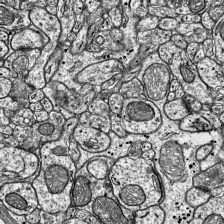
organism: Mouse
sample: Visual Cortex